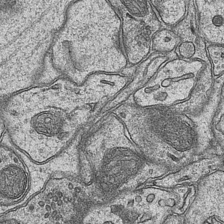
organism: Mouse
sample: CA1 Hippocampus